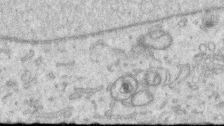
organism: Human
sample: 1205lu cells